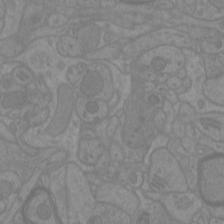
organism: Mouse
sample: Cortical neurons